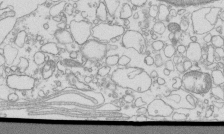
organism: Mouse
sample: Macrophages